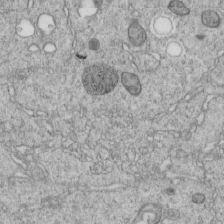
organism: C. elegans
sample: C. elegans embryo early stage